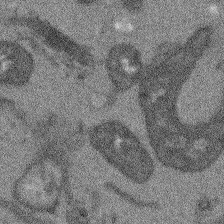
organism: Arabidopsis thaliana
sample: Root tip